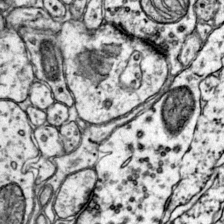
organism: Mouse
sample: Primary visual cortex